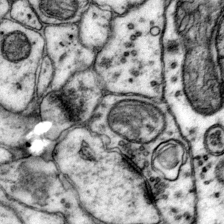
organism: Mouse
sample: Primary visual cortex